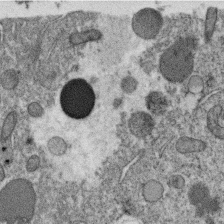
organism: C. elegans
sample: C. elegans oocyte; sperm cells